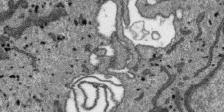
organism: Human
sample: Lung epithelial cells, uninfected (mock) control